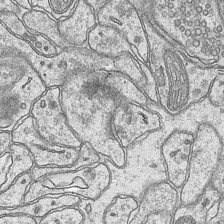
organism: Mouse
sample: CA1 Hippocampus